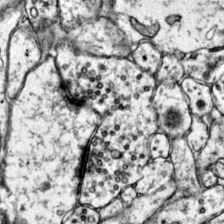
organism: Mouse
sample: Primary visual cortex